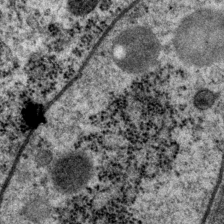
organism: P. pacificus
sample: Pharynx